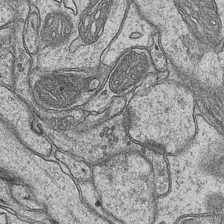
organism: Mouse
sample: CA1 Hippocampus